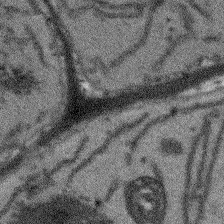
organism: Arabidopsis thaliana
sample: Root tip